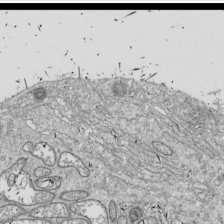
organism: Drosophila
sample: Cell division; meiosis; drosophila spermatocytes